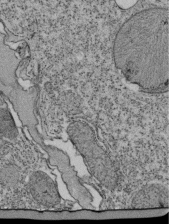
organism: Tetrahymena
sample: Cilia in tetrahymena